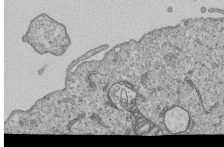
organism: Human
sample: MDA-MB-231 cells